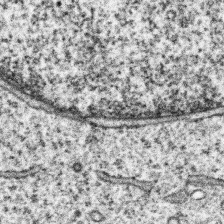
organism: Human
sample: HeLa cells